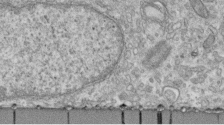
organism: Human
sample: Centriole in fibroblast cells